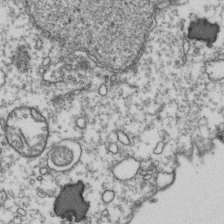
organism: Human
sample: Activated Jurkat CD4+ T cells